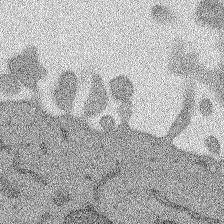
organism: Human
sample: HeLa cells